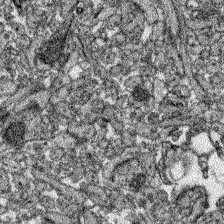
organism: Zebrafish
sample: Larval olfactory bulb